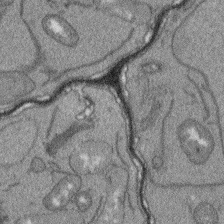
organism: Arabidopsis thaliana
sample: Root tip